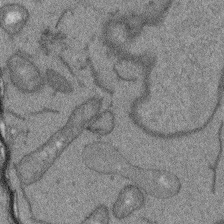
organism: Arabidopsis thaliana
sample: Root tip